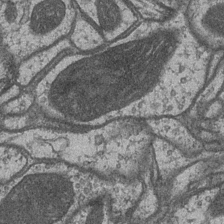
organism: Drosophila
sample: Optic medulla